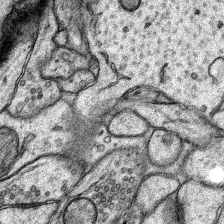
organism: Rat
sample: Hippocampus